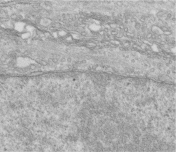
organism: Human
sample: Centriole in fibroblast cells